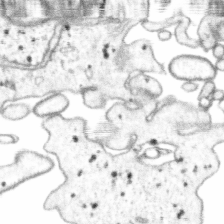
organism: Human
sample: HeLa cells